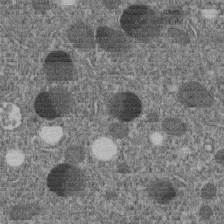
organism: C. elegans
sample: C. elegans embryo early stage